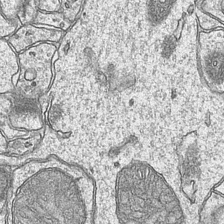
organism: Mouse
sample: CA1 Hippocampus